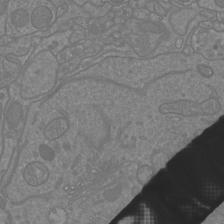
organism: Mouse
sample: Cortical neurons